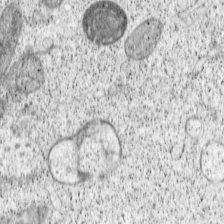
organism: African green monkey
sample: COS-7 cells